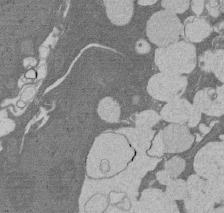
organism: Rat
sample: Salivary granule